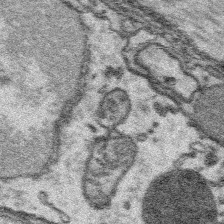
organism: Platynereis dumerilii